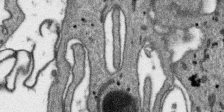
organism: Human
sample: Lung epithelial cells, uninfected (mock) control